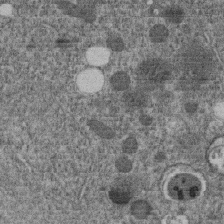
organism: C. elegans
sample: C. elegans embryo early stage